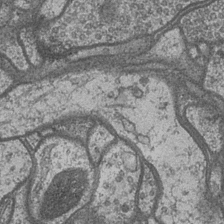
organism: Drosophila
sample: Optic medulla